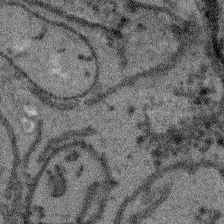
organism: Arabidopsis thaliana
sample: Root tip